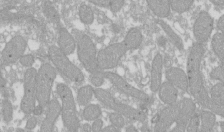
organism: Xenopus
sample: Cilia; centrioles in frog embryo cells